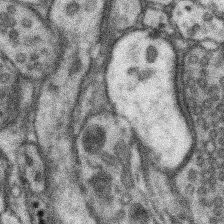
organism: Mouse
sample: Somatosensory cortex neuropil